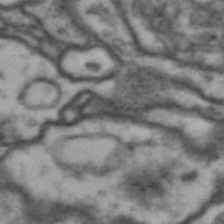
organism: Drosophila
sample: Brain